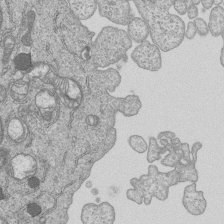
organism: Human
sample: MDA-MB-231 cells